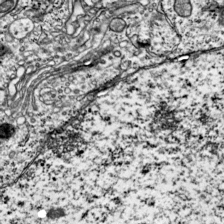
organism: Mouse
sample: Visual Cortex